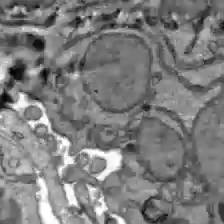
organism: C57BL Mouse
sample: Liver